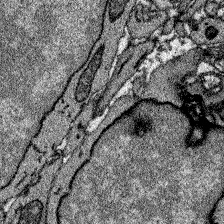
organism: Zebrafish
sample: Larval olfactory bulb